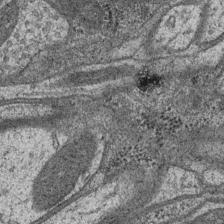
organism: Drosophila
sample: Optic medulla